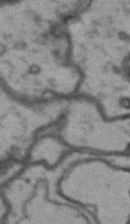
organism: Drosophila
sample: Brain